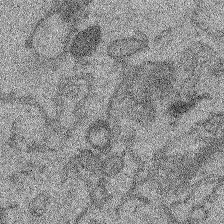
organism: Human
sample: HeLa cells